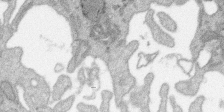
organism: Human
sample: Lung epithelial cells infected with SARS-CoV-2